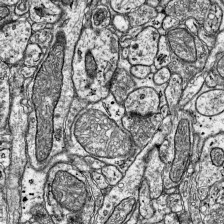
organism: Mouse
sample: Visual Cortex